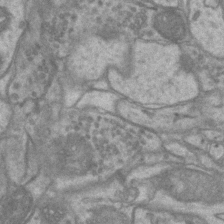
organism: Mouse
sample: CA1 Hippocampus